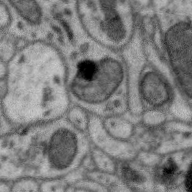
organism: Zebra finch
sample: Brain